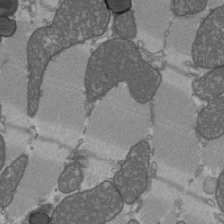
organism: C57BL Mouse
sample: Heart